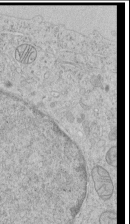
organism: Human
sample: Mitochondria in HCT116 cells